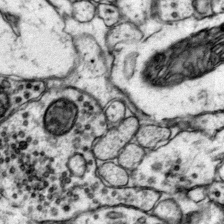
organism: Mouse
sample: Primary visual cortex